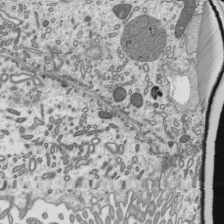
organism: Mouse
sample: Mouse epididymis efferent ductule cilia